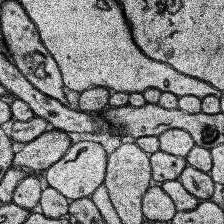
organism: Human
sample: Temporal Lobe